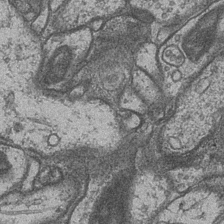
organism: Drosophila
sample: Optic medulla